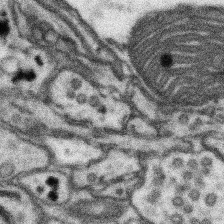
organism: Mouse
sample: Somatosensory cortex neuropil